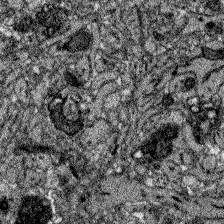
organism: Zebrafish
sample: Larval olfactory bulb